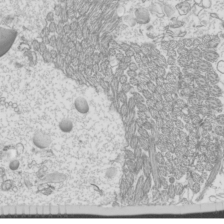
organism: Mouse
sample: Cilia; mouse epididymis